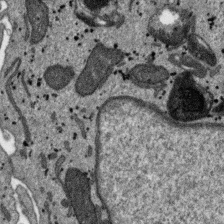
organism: Human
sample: Lung epithelial cells, uninfected (mock) control